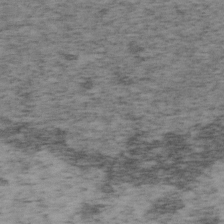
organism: Mouse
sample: OT-I killer T cells with ID8 ovarian cancer cells